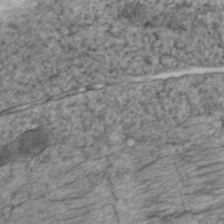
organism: Zebrafish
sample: Zebrafish embryo